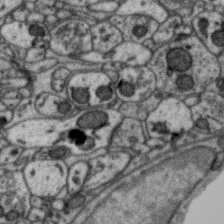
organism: Zebra finch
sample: Brain